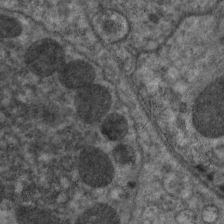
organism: C. elegans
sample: Pharynx